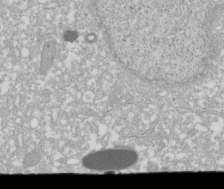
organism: Xenopus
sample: Cilia; centrioles in frog embryo cells